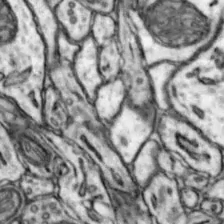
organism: Mouse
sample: Nucleus accumbens